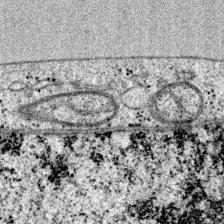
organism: Human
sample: HeLa cells